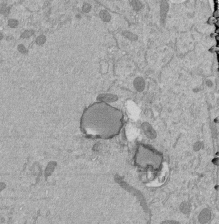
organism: Mouse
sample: ED-1 cell nuclei; centrioles